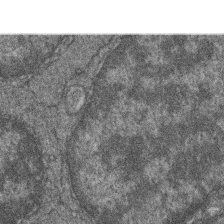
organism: Zebrafish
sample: Cilia; retinal pigment epithelium